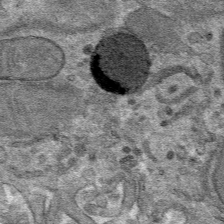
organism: Mouse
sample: Mouse hepatocytes